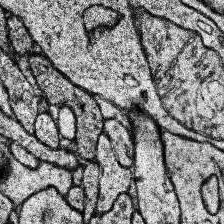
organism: Human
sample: Temporal Lobe